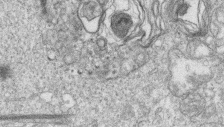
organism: Human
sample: HeLa cell HIV synapse